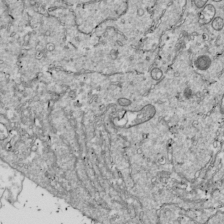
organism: Drosophila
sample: Cell division; meiosis; drosophila spermatocytes